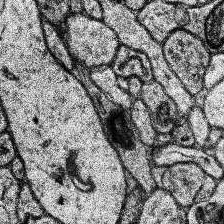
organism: Human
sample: Temporal Lobe